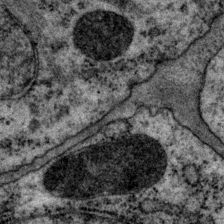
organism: P. pacificus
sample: Pharynx